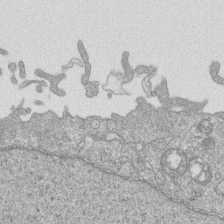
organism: Human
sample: HeLa cell HIV synapse